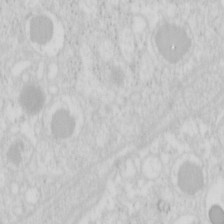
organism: Mouse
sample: Pancreas